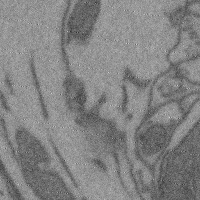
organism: Mouse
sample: Cerebral cortex